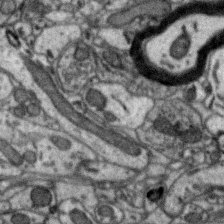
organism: Zebra finch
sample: Brain